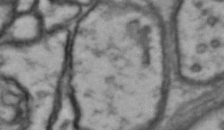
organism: Drosophila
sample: Brain